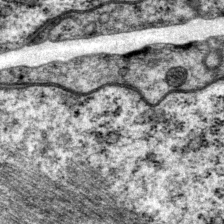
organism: P. pacificus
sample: Pharynx